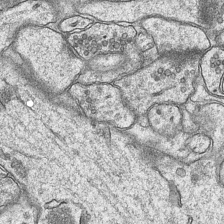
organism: Mouse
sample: CA1 Hippocampus